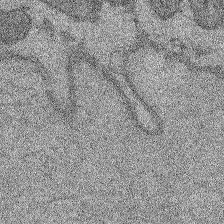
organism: Human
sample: HeLa cells